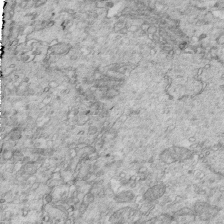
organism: Mouse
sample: Multiciliated cells